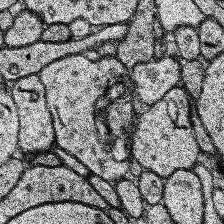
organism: Human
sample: Temporal Lobe